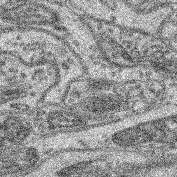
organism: Mouse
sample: Retina